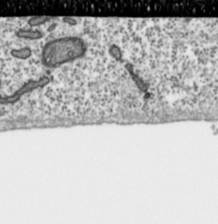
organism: Toxoplasma gondii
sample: Parasites in a vacuole inside a host cell